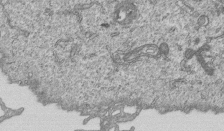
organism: Human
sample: MDA-MB-231 cells